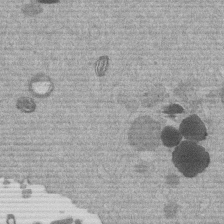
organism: Mouse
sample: Dividing mouse embryo 1 cell stage